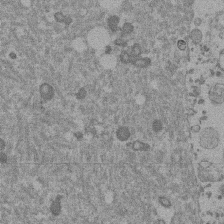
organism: Mouse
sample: Dividing mouse embryo 1 cell stage